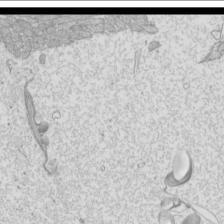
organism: Mouse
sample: Cilia; mouse epididymis